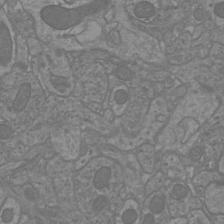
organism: Mouse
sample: Cortical neurons